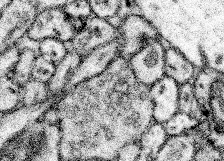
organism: Mouse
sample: Somatosensory cortex neuropil